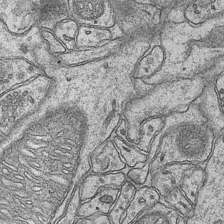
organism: Mouse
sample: CA1 Hippocampus